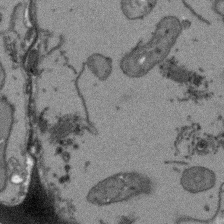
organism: Arabidopsis thaliana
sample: Root tip